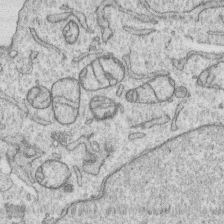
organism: Human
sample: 1205lu cells